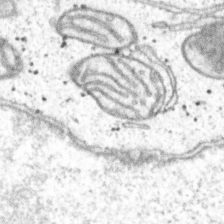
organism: Human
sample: HeLa cells